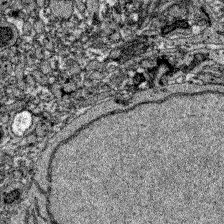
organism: Zebrafish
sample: Larval olfactory bulb